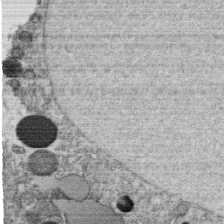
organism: C. elegans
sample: C. elegans oocyte; sperm cells